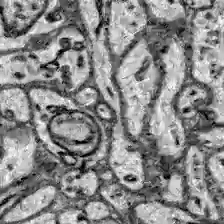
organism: Zebrafish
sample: Brain